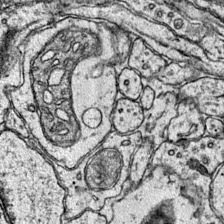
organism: Mouse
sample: Primary visual cortex